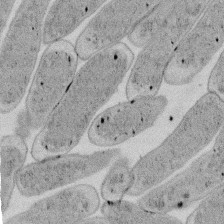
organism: E. coli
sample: Bacterial nucleoid